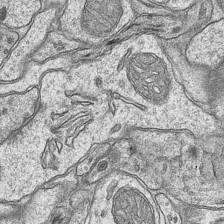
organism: Mouse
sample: CA1 Hippocampus